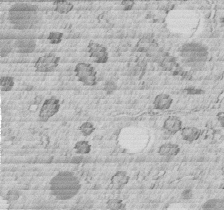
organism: C. elegans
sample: C. elegans embryo early stage